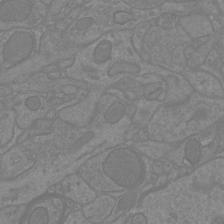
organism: Mouse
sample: Cortical neurons